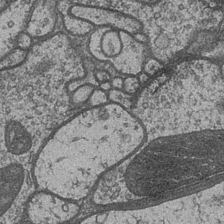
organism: Drosophila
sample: Optic medulla